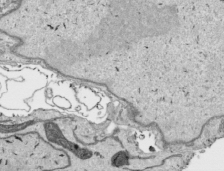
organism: Human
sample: Mitochondria in HCT116 cells